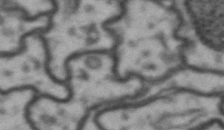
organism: Drosophila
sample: Brain